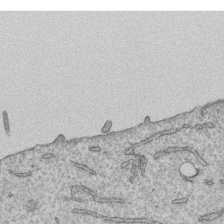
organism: Human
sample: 1205lu cells